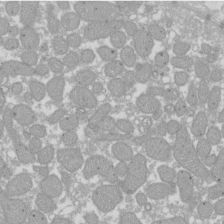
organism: Xenopus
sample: Cilia; centrioles in frog embryo cells